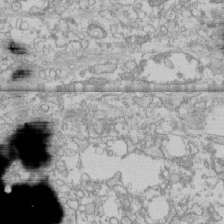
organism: Human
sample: CRL-1474